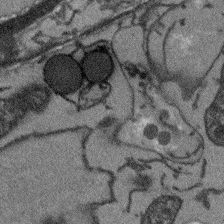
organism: Arabidopsis thaliana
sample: Root tip